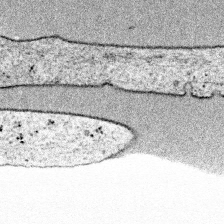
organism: Human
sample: HeLa cells